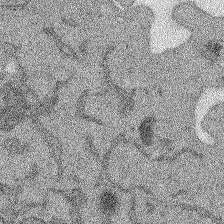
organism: Human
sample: HeLa cells